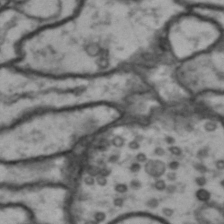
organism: Drosophila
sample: Brain